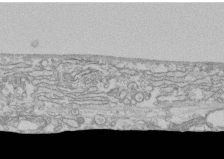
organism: Human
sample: CRL-1474